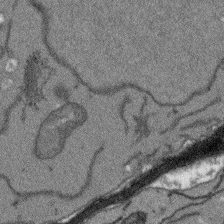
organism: Arabidopsis thaliana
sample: Root tip